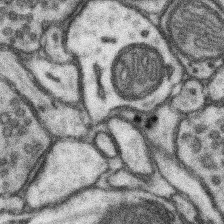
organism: Mouse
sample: Somatosensory cortex neuropil